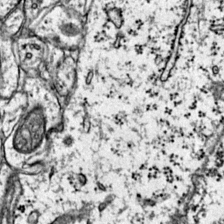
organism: Mouse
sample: Primary visual cortex